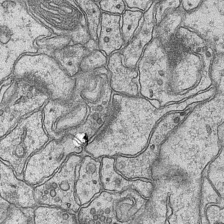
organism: Mouse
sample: CA1 Hippocampus